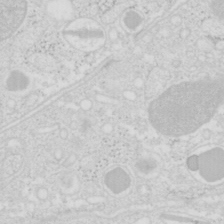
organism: Mouse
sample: Pancreas